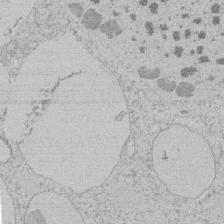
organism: Tetrahymena